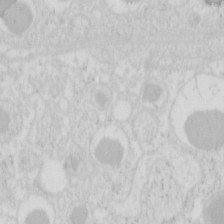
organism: Mouse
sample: Pancreas